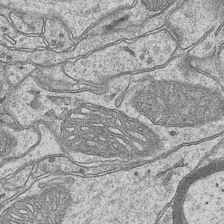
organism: Mouse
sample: CA1 Hippocampus